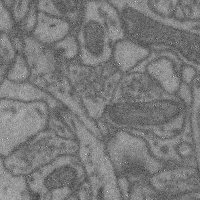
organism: Mouse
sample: Cerebral cortex